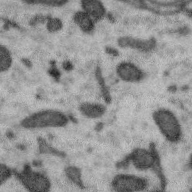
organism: Zebra finch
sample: Brain